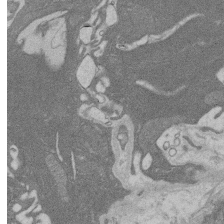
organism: Rat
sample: Salivary granule